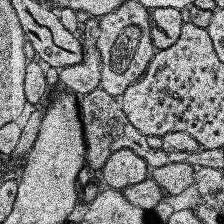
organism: Human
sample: Temporal Lobe